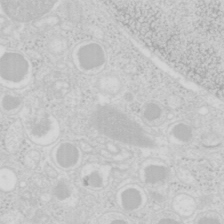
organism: Mouse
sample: Pancreas